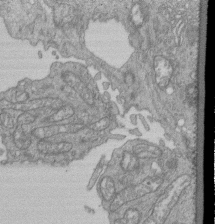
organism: Human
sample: Retinal organoid Rod and Cone cells